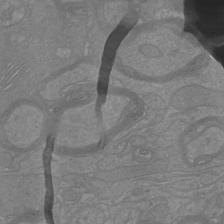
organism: Mouse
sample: Cortical neurons